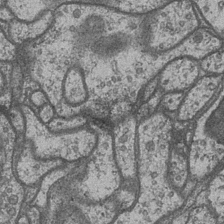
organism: Drosophila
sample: Optic medulla